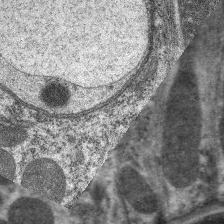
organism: C. elegans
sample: Pharynx